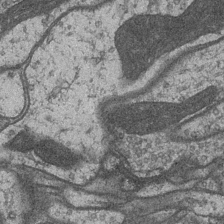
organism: Drosophila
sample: Optic medulla